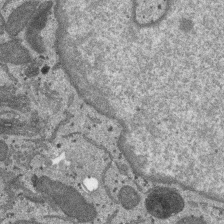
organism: Human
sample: Lung epithelial cells infected with SARS-CoV-2